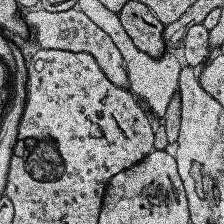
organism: Human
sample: Temporal Lobe